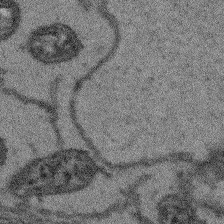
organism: Arabidopsis thaliana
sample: Root tip